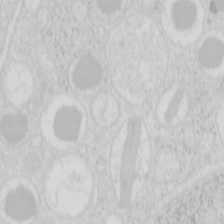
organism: Mouse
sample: Pancreas